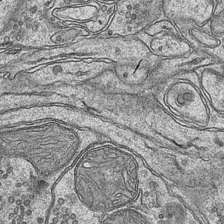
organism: Mouse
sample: CA1 Hippocampus